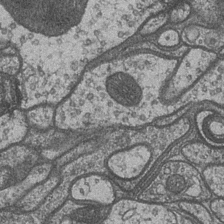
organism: Drosophila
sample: Optic medulla